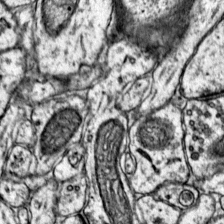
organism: Mouse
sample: Primary visual cortex